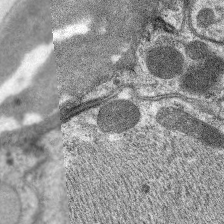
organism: C. elegans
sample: Pharynx